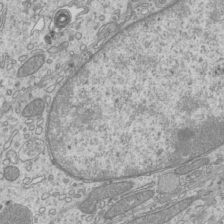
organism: Mouse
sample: Cilia; mouse epididymis